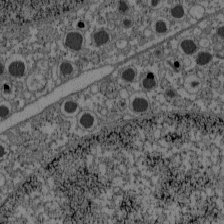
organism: C57BL Mouse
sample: Pancreatic islet